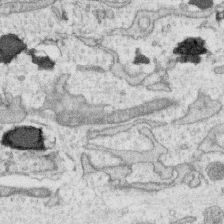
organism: Human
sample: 1205lu cells